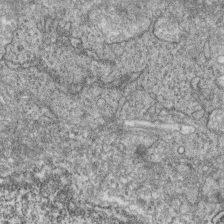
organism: Zebrafish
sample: Cilia; retinal pigment epithelium